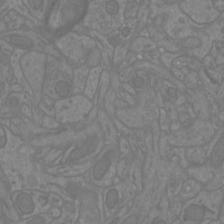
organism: Mouse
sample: Cortical neurons